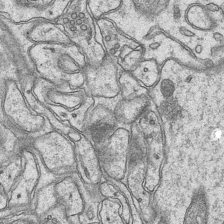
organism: Mouse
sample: CA1 Hippocampus